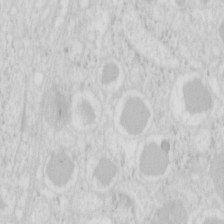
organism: Mouse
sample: Pancreas